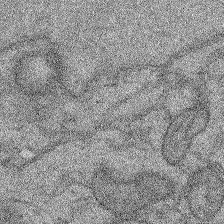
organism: Human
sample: HeLa cells